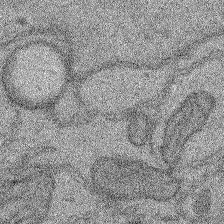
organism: Human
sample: HeLa cells